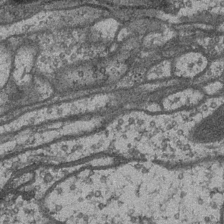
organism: Drosophila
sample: Optic medulla